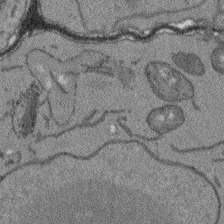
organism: Arabidopsis thaliana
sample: Root tip